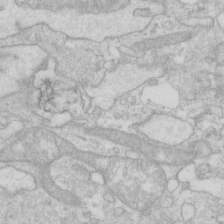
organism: Human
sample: Fibroblast cells